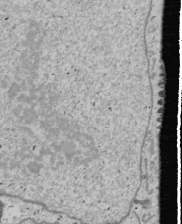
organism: Human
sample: Mitochondria in U2OS cells